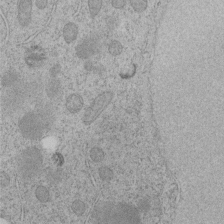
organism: C. elegans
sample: C. elegans embryo early stage